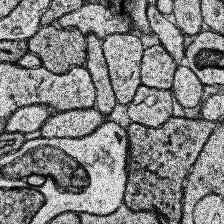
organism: Human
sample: Temporal Lobe